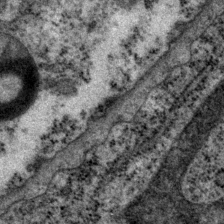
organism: P. pacificus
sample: Pharynx